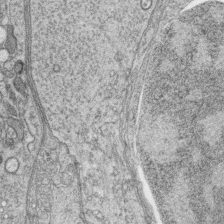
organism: Zebrafish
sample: synaptic ribbons in rod cells and cone cells